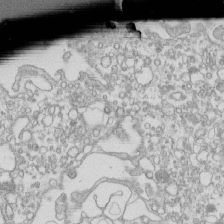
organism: Mouse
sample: Macrophages